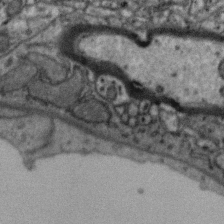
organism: Zebra finch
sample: Brain